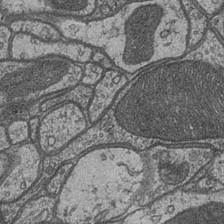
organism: Drosophila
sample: Optic medulla